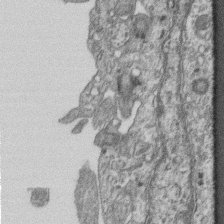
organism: Mouse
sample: Centriole in ependymal cells